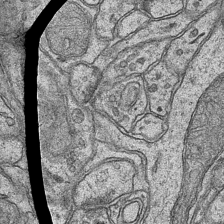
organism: Mouse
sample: CA1 Hippocampus